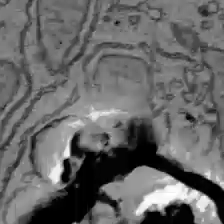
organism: C57BL Mouse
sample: Liver